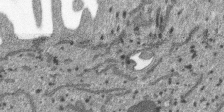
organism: Human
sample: Lung epithelial cells infected with SARS-CoV-2